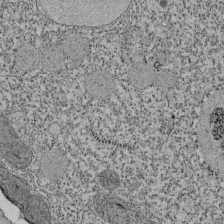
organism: Tetrahymena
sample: Cilia in tetrahymena